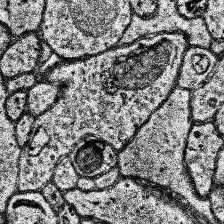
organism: Human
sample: Temporal Lobe